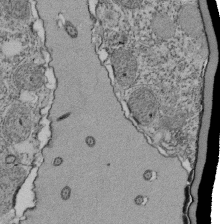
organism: Tetrahymena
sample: Cilia in tetrahymena